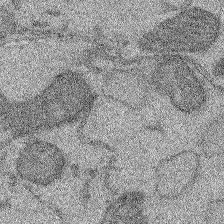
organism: Human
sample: HeLa cells